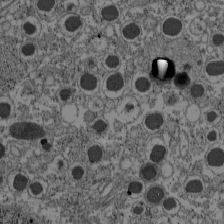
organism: C57BL Mouse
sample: Pancreatic islet